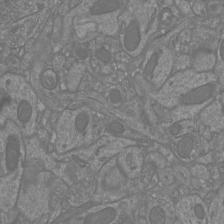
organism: Mouse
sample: Cortical neurons